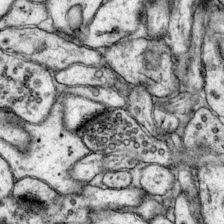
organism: Mouse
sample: Primary visual cortex